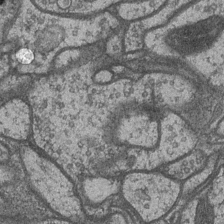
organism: Drosophila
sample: Optic medulla